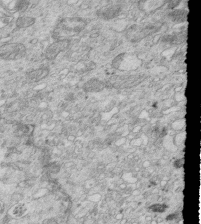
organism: Mouse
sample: Multiciliated cells